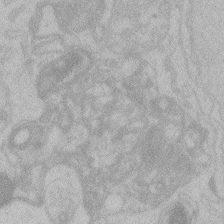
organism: Zebrafish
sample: Macrophage infected with Toxoplasma gondii